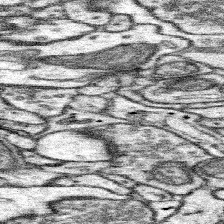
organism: Mouse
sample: Somatosensory cortex neuropil